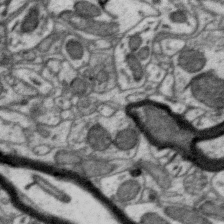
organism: Zebra finch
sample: Brain